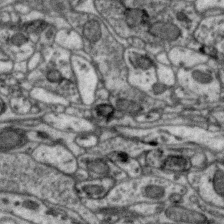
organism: Zebra finch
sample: Brain